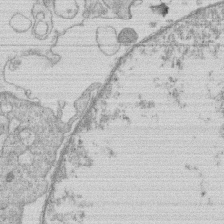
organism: Human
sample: Macrophage cells